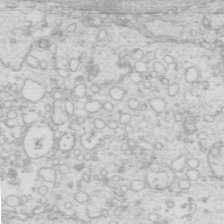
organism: Mouse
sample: Multiciliated cells